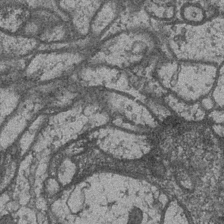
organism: Drosophila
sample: Optic medulla